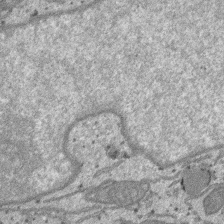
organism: Human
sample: Lung epithelial cells infected with SARS-CoV-2